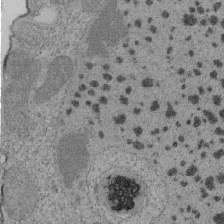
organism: Tetrahymena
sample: Cilia in tetrahymena